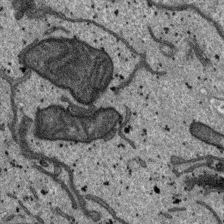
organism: Human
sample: Lung epithelial cells, uninfected (mock) control